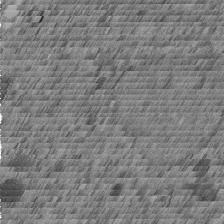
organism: C. elegans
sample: C. elegans embryo early stage